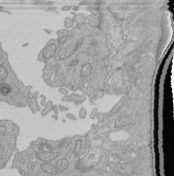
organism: Human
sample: Retinal organoid Rod and Cone cells